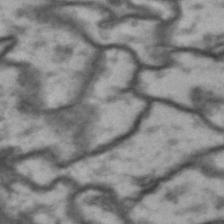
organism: Drosophila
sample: Brain